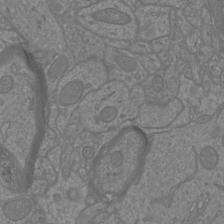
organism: Mouse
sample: Cortical neurons